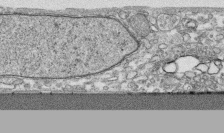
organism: Human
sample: CRL-1474